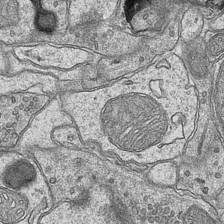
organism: Mouse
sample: CA1 Hippocampus